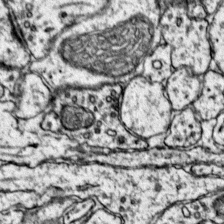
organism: Mouse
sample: Primary visual cortex